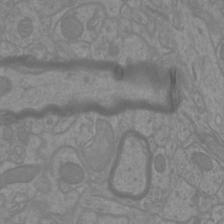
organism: Mouse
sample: Cortical neurons